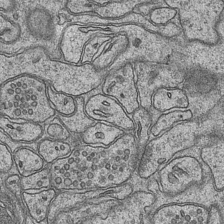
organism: Mouse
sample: CA1 Hippocampus